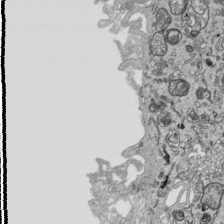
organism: Human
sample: Mitochondria in HCT116 cells